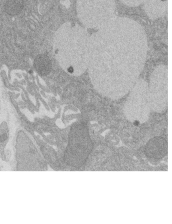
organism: Rat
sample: Salivary granule